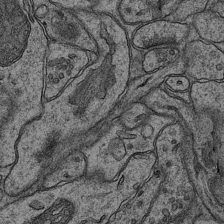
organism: Mouse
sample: CA1 Hippocampus